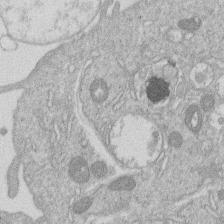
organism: Human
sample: Macrophage cells